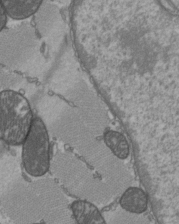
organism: C57BL Mouse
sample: Heart